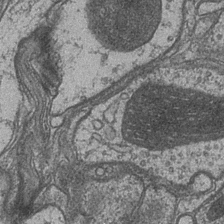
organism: Drosophila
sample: Optic medulla